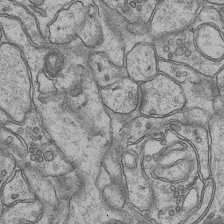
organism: Mouse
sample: CA1 Hippocampus